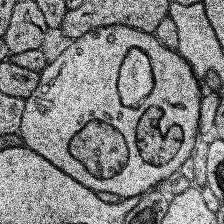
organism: Human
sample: Temporal Lobe